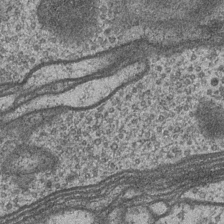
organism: Drosophila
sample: Optic medulla